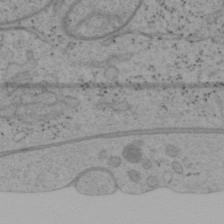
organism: Human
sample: HeLa cells